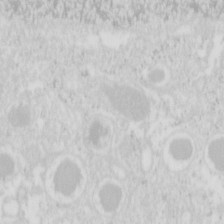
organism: Mouse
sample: Pancreas